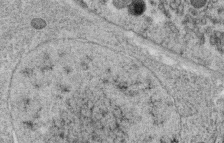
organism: C. elegans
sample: C. elegans oocyte; sperm cells